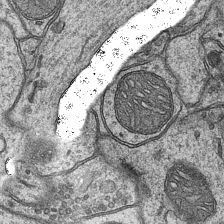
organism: Mouse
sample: CA1 Hippocampus